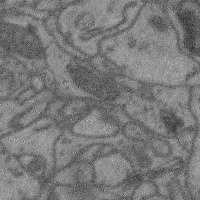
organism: Mouse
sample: Cerebral cortex